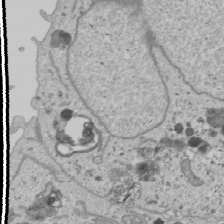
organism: Human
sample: Mitochondria in U2OS cells